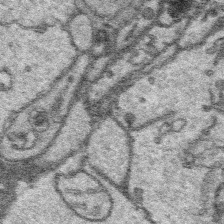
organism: Platynereis dumerilii